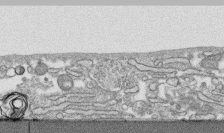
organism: Human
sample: CRL-1474